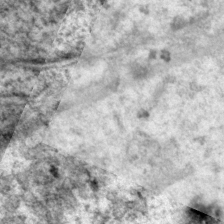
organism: P. pacificus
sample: Pharynx